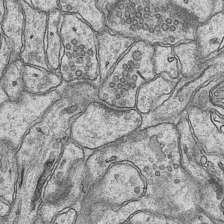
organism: Mouse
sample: CA1 Hippocampus